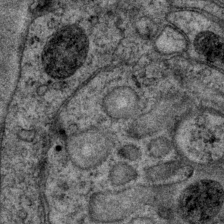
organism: P. pacificus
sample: Pharynx